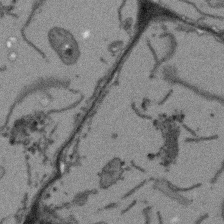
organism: Arabidopsis thaliana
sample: Root tip